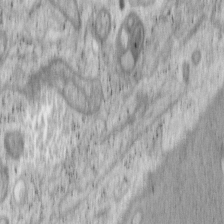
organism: Human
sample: HeLa cells